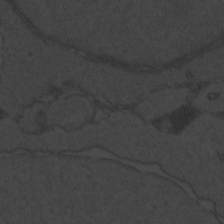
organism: Zebrafish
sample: Macrophage infected with Toxoplasma gondii